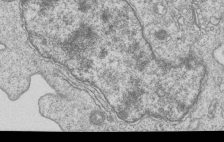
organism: Human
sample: MDA-MB-231 cells